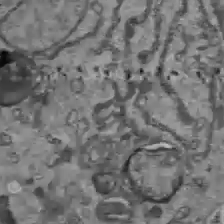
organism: C57BL Mouse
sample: Liver